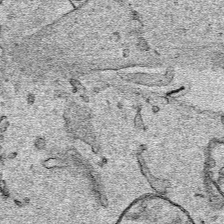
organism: Human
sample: Mitochondria in HCT116 cells